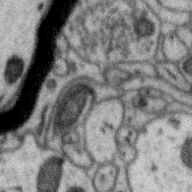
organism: Zebra finch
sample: Brain